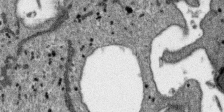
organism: Human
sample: Lung epithelial cells, uninfected (mock) control